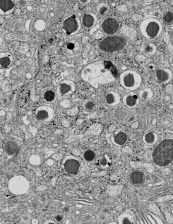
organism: C57BL Mouse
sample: Pancreatic islet